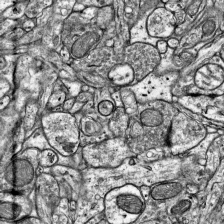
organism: Mouse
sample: Visual Cortex